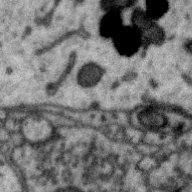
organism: Zebra finch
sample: Brain